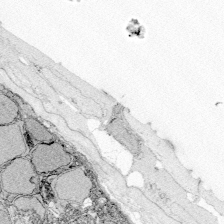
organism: Zebrafish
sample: Whole-Brain